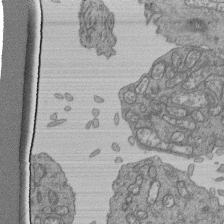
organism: Human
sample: Retinal organoid Rod and Cone cells